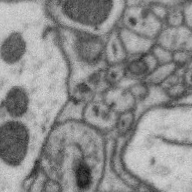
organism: Zebra finch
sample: Brain